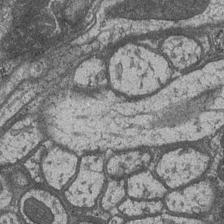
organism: Drosophila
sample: Optic medulla